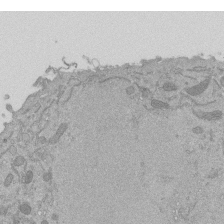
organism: Mouse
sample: ED-1 cell nuclei; centrioles